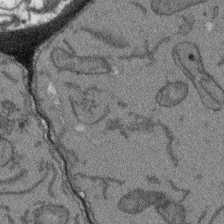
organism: Arabidopsis thaliana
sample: Root tip